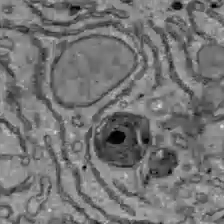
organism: C57BL Mouse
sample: Liver